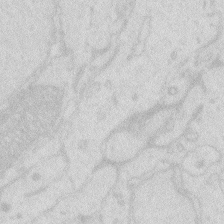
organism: Zebrafish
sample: Macrophage